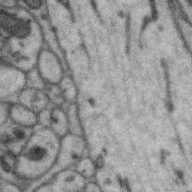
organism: Zebra finch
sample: Brain